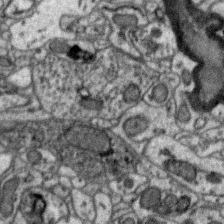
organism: Zebra finch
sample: Brain